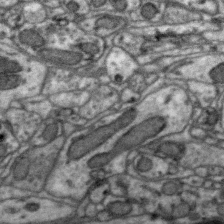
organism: Zebra finch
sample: Brain